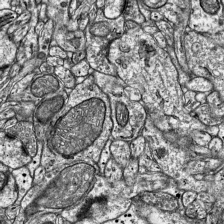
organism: Mouse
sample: Visual Cortex